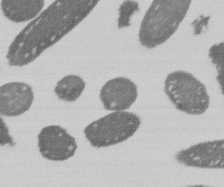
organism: E. coli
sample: Bacterial nucleoid